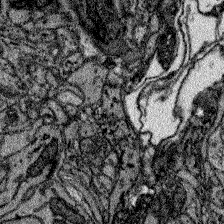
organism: Zebrafish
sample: Larval olfactory bulb